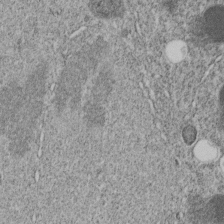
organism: C. elegans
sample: C. elegans embryo early stage